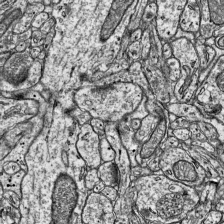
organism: Mouse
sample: Visual Cortex